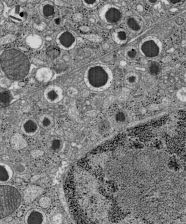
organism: C57BL Mouse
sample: Pancreatic islet